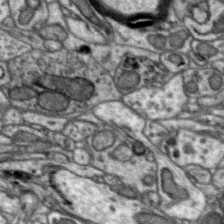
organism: Zebra finch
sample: Brain